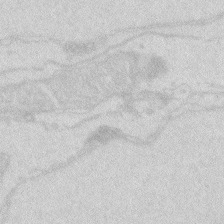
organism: Zebrafish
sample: Macrophage